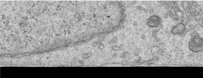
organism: Human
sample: Centriole in RPE cells